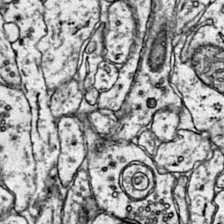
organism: Mouse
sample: Primary visual cortex